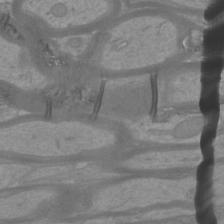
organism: Mouse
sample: Cortical neurons